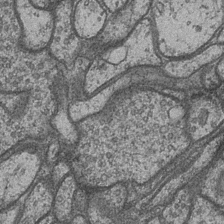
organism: Drosophila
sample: Optic medulla